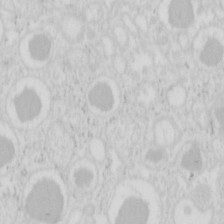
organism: Mouse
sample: Pancreas